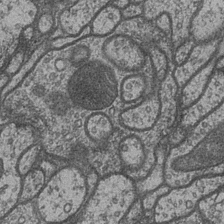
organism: Drosophila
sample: Optic medulla